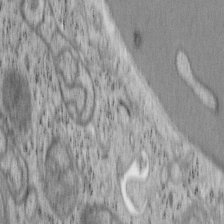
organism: Human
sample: HeLa cells